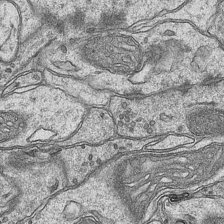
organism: Mouse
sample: CA1 Hippocampus